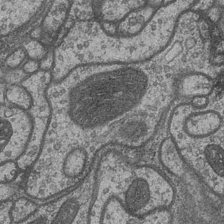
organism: Drosophila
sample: Optic medulla